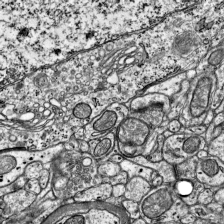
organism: Mouse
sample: Visual Cortex